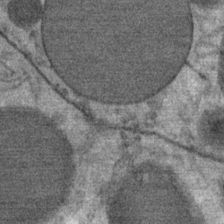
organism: Mouse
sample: Mouse Salivary gland